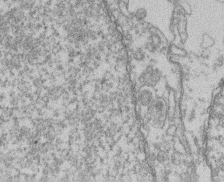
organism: Mouse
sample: T cell stromal cell synapse